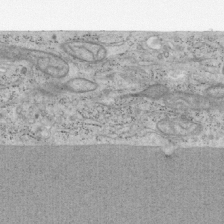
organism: Human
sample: HeLa cells